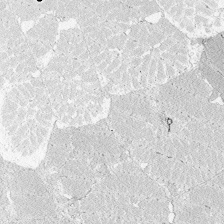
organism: Zebrafish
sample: Whole-Brain